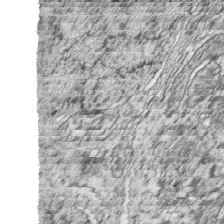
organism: Zebrafish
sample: synaptic ribbons in rod cells and cone cells